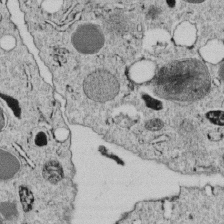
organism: C. elegans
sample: C. elegans embryo early stage